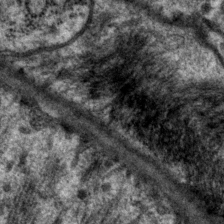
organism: P. pacificus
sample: Pharynx